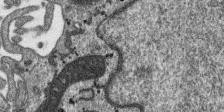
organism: Human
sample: Lung epithelial cells infected with SARS-CoV-2